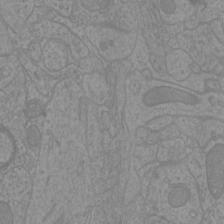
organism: Mouse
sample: Cortical neurons